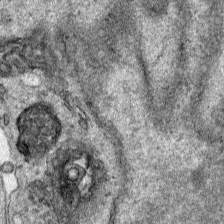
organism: Human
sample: Mitochondria in HCT116 cells